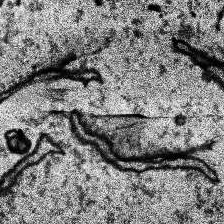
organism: Human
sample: Temporal Lobe